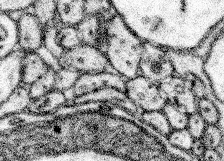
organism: Mouse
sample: Somatosensory cortex neuropil